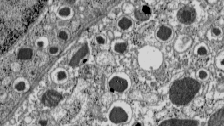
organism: C57BL Mouse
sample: Pancreatic islet